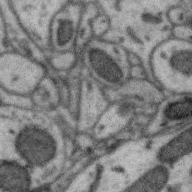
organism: Zebra finch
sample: Brain